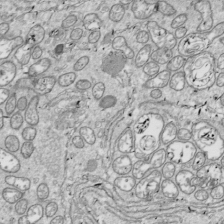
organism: Drosophila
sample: Cell division; meiosis; drosophila spermatocytes